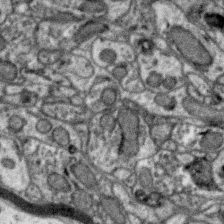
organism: Zebra finch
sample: Brain